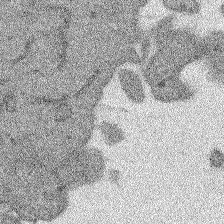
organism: Human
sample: HeLa cells